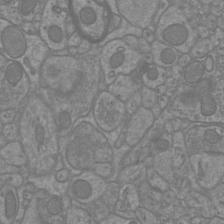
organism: Mouse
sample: Cortical neurons